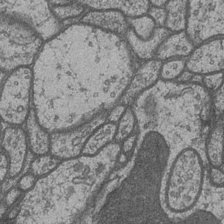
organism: Drosophila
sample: Optic medulla